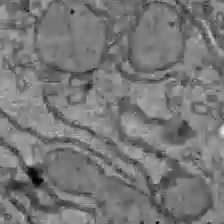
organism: C57BL Mouse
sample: Liver